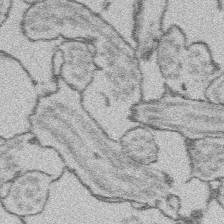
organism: Platynereis dumerilii